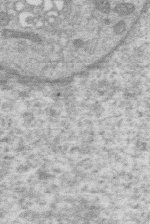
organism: Human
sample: Macrophage cells